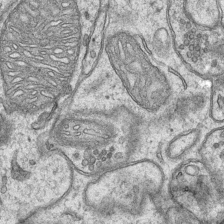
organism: Mouse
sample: CA1 Hippocampus